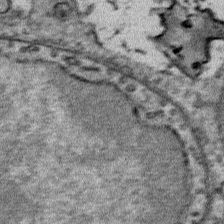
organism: Mouse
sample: Mouse Salivary gland